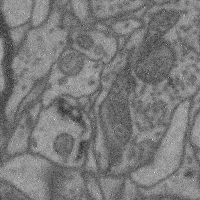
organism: Mouse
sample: Cerebral cortex